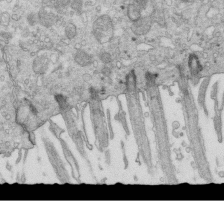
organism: Mouse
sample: Multiciliated cells